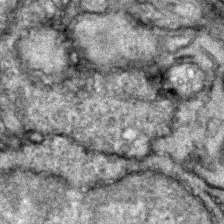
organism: Zebrafish